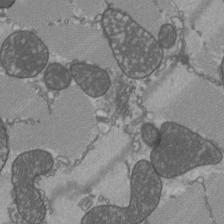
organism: C57BL Mouse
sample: Heart